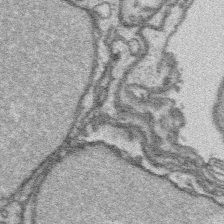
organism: Platynereis dumerilii